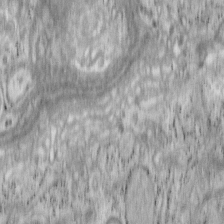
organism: Human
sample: HeLa cells